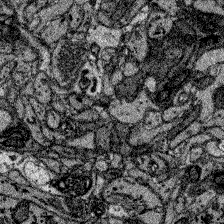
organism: Zebrafish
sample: Larval olfactory bulb